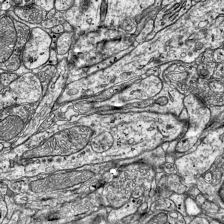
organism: Mouse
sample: Visual Cortex